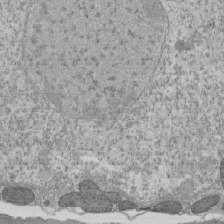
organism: Tetrahymena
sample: Cilia in tetrahymena